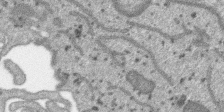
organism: Human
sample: Lung epithelial cells infected with SARS-CoV-2